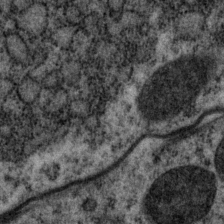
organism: P. pacificus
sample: Pharynx